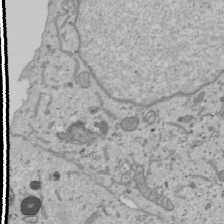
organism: Human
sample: Mitochondria in U2OS cells